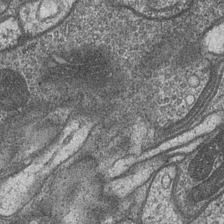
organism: Drosophila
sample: Optic medulla